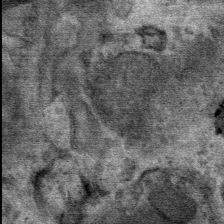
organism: Mouse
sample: Mouse Salivary gland